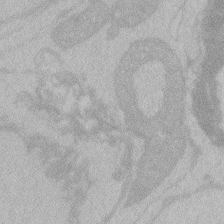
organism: Zebrafish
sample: Macrophage infected with Toxoplasma gondii